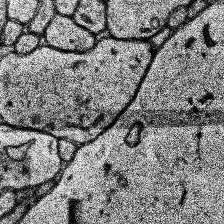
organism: Human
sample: Temporal Lobe